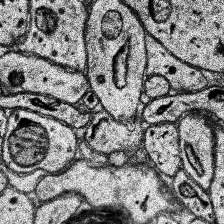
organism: Human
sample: Temporal Lobe